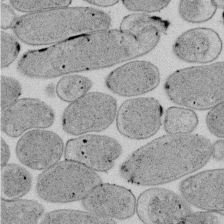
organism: E. coli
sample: Bacterial nucleoid